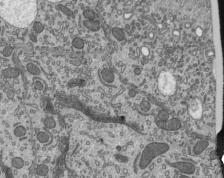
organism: Mouse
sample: Mouse epididymis efferent ductule cilia